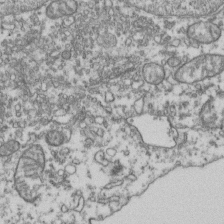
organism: Human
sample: Activated Jurkat CD4+ T cells